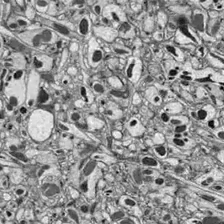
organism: Drosophila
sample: Optic lobe